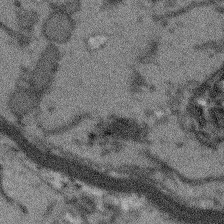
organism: Arabidopsis thaliana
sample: Root tip